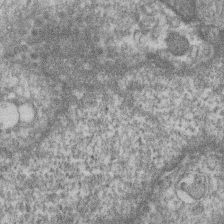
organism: Mouse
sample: T cell stromal cell synapse